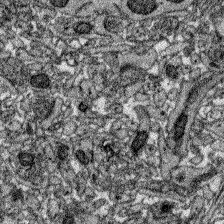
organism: Zebrafish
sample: Larval olfactory bulb